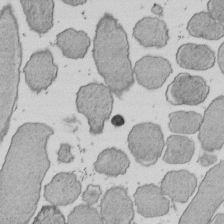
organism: E. coli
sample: Bacterial nucleoid